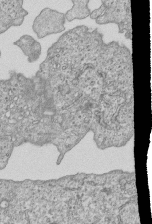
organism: Human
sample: MDA-MB-231 cells